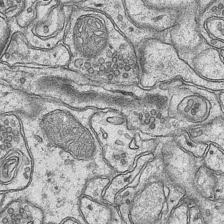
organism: Mouse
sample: CA1 Hippocampus